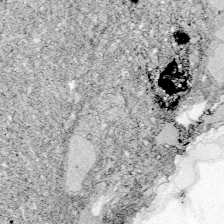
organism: Zebrafish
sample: Whole-Brain